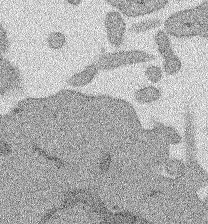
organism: Human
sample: HeLa cells